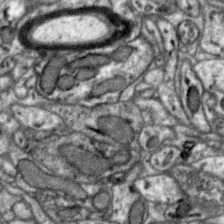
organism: Zebra finch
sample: Brain